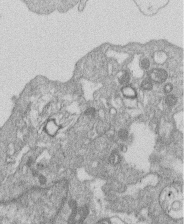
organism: Human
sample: Macrophage cells